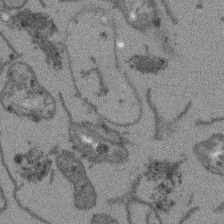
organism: Arabidopsis thaliana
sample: Root tip